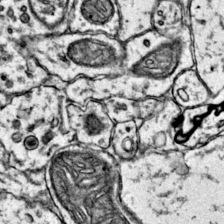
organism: Mouse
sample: Primary visual cortex